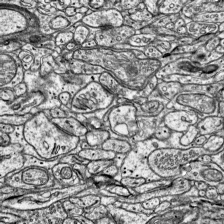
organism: Mouse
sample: Visual Cortex